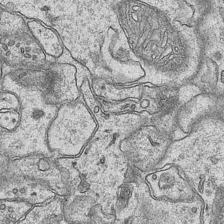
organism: Mouse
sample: CA1 Hippocampus